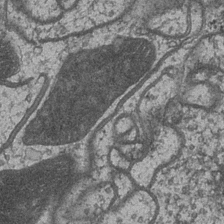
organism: Drosophila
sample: Optic medulla